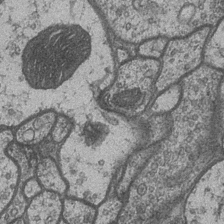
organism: Drosophila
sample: Optic medulla